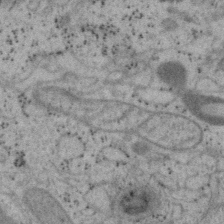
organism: Human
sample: HeLa cells